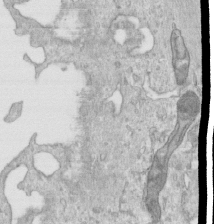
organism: Human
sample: Centriole in RPE cells